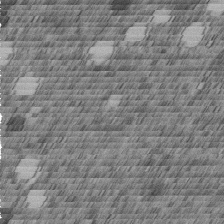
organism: C. elegans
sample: C. elegans embryo early stage